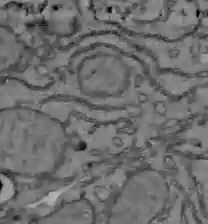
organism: C57BL Mouse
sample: Liver